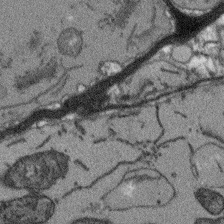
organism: Arabidopsis thaliana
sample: Root tip